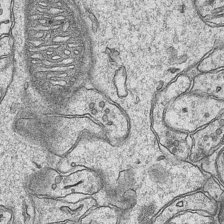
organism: Mouse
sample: CA1 Hippocampus